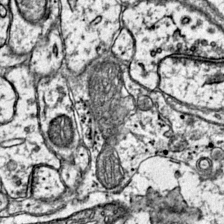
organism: Mouse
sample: Primary visual cortex